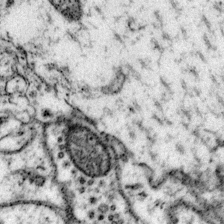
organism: Mouse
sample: Primary visual cortex